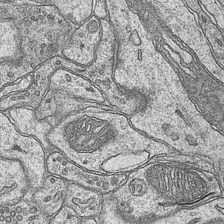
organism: Mouse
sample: CA1 Hippocampus